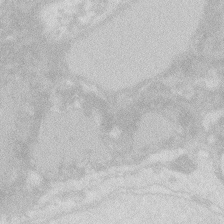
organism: Zebrafish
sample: Macrophage